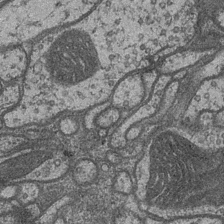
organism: Drosophila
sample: Optic medulla